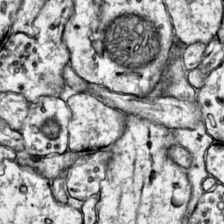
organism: Mouse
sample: Primary visual cortex